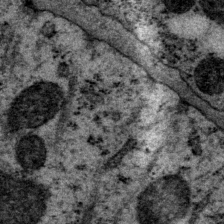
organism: P. pacificus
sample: Pharynx